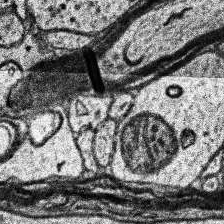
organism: Human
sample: Temporal Lobe